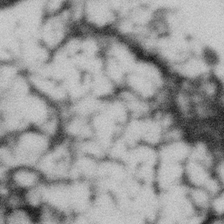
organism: Gemmata obscuriglobus